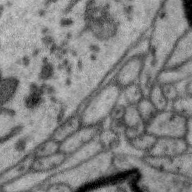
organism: Zebra finch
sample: Brain